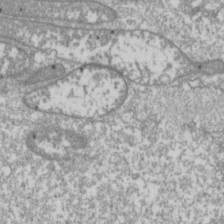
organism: Drosophila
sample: Cell division; meiosis; drosophila spermatocytes